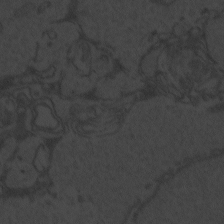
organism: Zebrafish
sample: Macrophage infected with Toxoplasma gondii